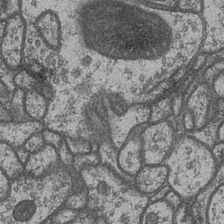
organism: Drosophila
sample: Optic medulla